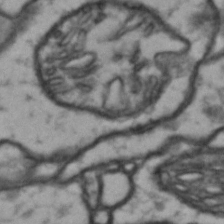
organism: Drosophila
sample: Brain